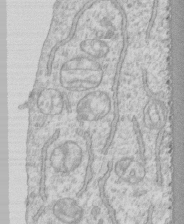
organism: Human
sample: CRL-1474